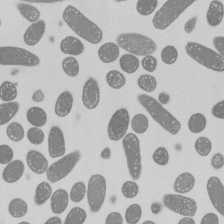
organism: E. coli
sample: Bacterial nucleoid